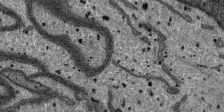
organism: Human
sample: Lung epithelial cells, uninfected (mock) control